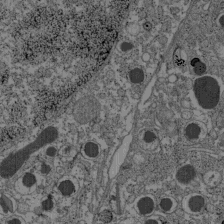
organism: C57BL Mouse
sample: Pancreatic islet